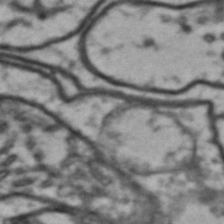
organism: Drosophila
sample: Brain